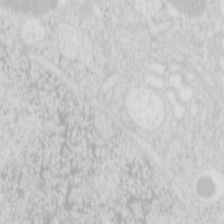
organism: Mouse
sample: Pancreas